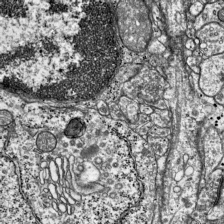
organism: Mouse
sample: Visual Cortex